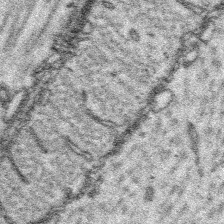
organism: Platynereis dumerilii